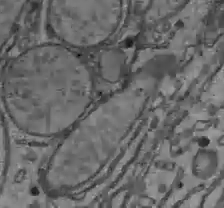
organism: C57BL Mouse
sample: Liver